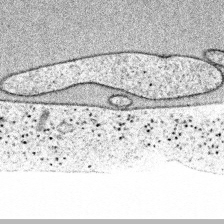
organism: Human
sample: HeLa cells